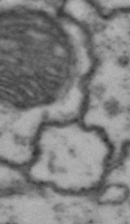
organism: Drosophila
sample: Brain